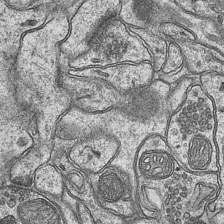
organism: Mouse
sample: CA1 Hippocampus